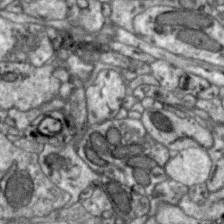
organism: Zebra finch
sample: Brain